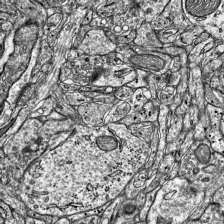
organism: Mouse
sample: Visual Cortex